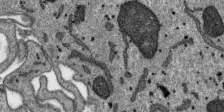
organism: Human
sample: Lung epithelial cells, uninfected (mock) control